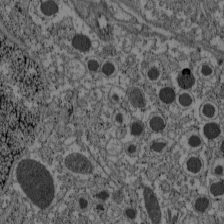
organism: C57BL Mouse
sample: Pancreatic islet